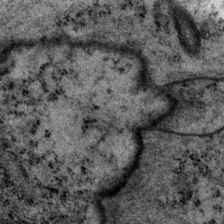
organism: P. pacificus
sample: Pharynx